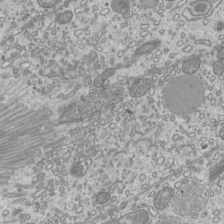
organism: Mouse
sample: Cilia; mouse epididymis